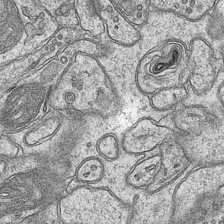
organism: Mouse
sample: CA1 Hippocampus